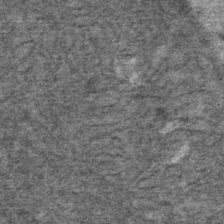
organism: Mouse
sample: Mouse Salivary gland